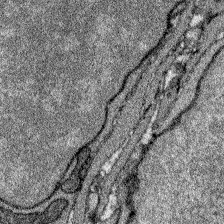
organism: Zebrafish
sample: Larval olfactory bulb